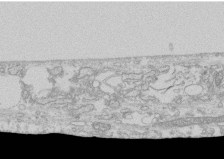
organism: Human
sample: CRL-1474